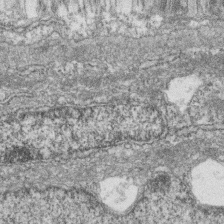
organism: Zebrafish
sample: Cilia; retinal pigment epithelium